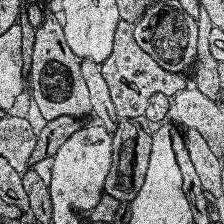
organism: Human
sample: Temporal Lobe